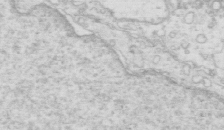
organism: Mouse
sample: Multiciliated cells